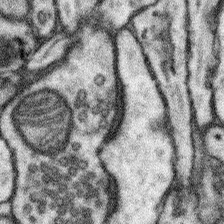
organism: Mouse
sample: Somatosensory cortex neuropil